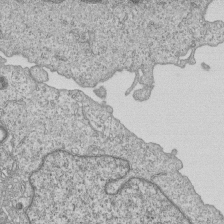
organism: Human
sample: MDA-MB-231 cells